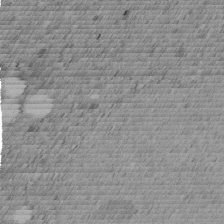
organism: C. elegans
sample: C. elegans embryo early stage